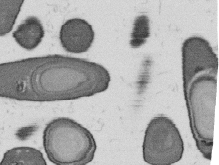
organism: B. subtilis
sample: Bacterial spore